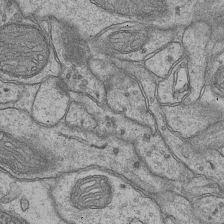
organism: Mouse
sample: CA1 Hippocampus